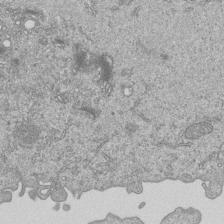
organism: Human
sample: MDA-MB-231 cells